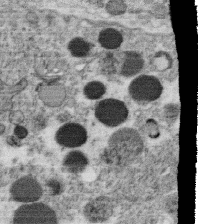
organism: C. elegans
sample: C. elegans oocyte; sperm cells